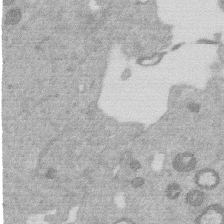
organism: Mouse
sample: Dividing mouse embryo 1 cell stage